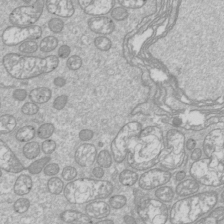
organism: Drosophila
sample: Cell division; meiosis; drosophila spermatocytes